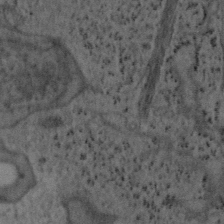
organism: Human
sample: HeLa cells